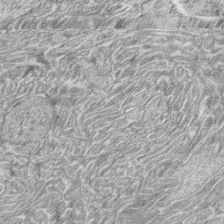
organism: Zebrafish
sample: synaptic ribbons in rod cells and cone cells